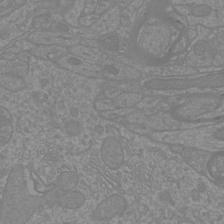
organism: Mouse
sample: Cortical neurons